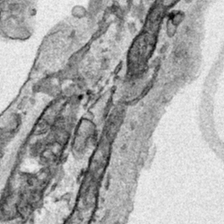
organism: Human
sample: Mitochondria in HCT116 cells